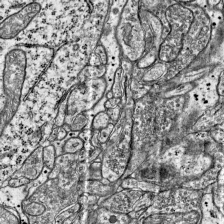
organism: Mouse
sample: Visual Cortex